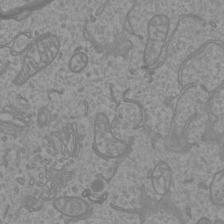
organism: Mouse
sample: Cortical neurons